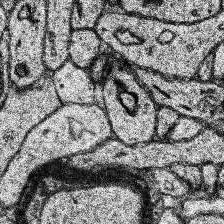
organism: Human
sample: Temporal Lobe